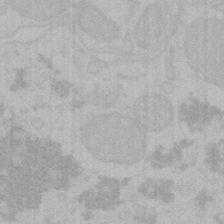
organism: Mouse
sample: Choroid plexus